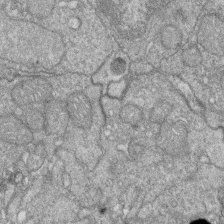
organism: Zebrafish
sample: Cilia; retinal pigment epithelium